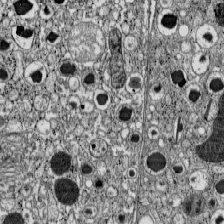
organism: C57BL Mouse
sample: Pancreatic islet